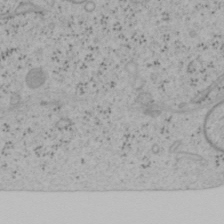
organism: Human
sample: HeLa cells